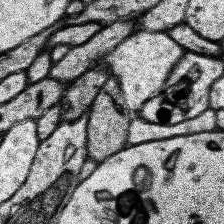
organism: Human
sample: Temporal Lobe